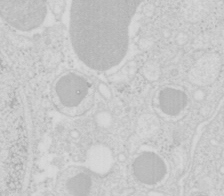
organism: Mouse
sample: Pancreas